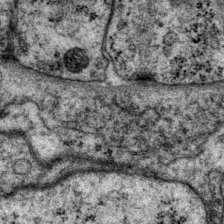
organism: P. pacificus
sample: Pharynx